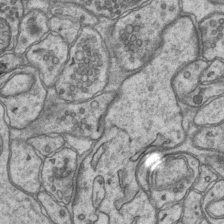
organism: Mouse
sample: CA1 Hippocampus